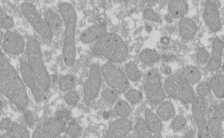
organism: Xenopus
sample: Cilia; centrioles in frog embryo cells